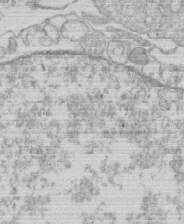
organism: Human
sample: Macrophage cells